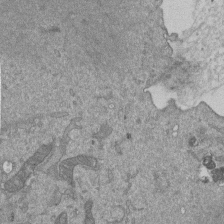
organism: Mouse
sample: ED-1 cell nuclei; centrioles